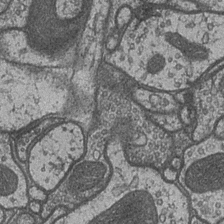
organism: Drosophila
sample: Optic medulla